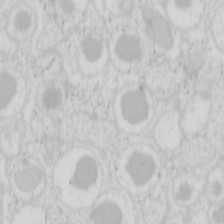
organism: Mouse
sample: Pancreas